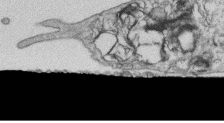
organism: Human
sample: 1205lu cells